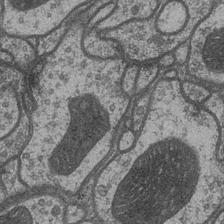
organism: Drosophila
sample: Optic medulla